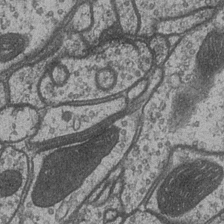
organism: Drosophila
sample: Optic medulla